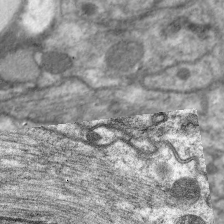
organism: C. elegans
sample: Pharynx